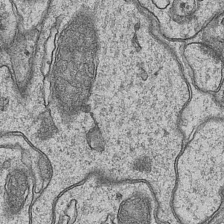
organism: Mouse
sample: CA1 Hippocampus